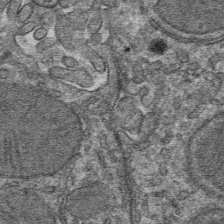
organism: Mouse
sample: Mouse hepatocytes